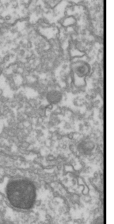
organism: Drosophila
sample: Cell division; meiosis; drosophila spermatocytes